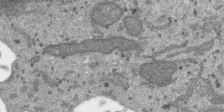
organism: Human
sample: Lung epithelial cells infected with SARS-CoV-2